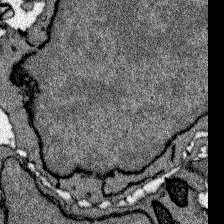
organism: Zebrafish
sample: Larval olfactory bulb